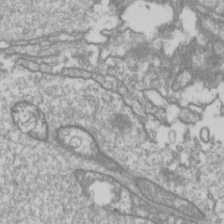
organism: Drosophila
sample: Cell division; meiosis; drosophila spermatocytes